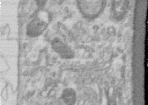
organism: Human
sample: Centriole in RPE cells